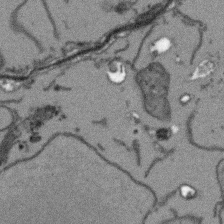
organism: Arabidopsis thaliana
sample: Root tip